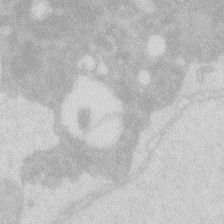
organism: Zebrafish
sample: Macrophage